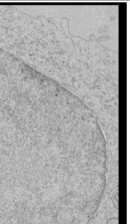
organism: Human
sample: Mitochondria in HCT116 cells